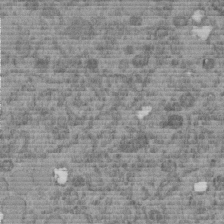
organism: C. elegans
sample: C. elegans embryo early stage